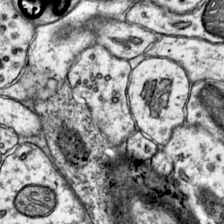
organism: Mouse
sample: Primary visual cortex